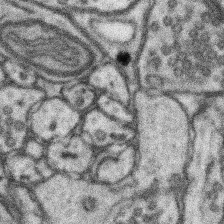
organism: Mouse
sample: Somatosensory cortex neuropil